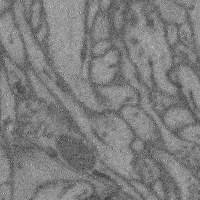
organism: Mouse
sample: Cerebral cortex